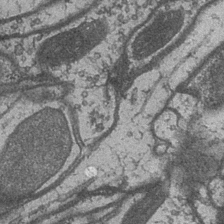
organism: Drosophila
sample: Optic medulla